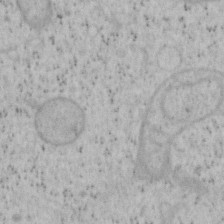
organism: Human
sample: HeLa cells